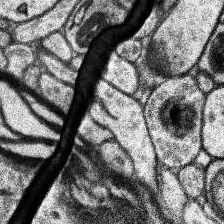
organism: Human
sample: Temporal Lobe